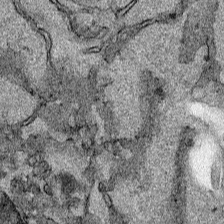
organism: Human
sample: Mitochondria in HCT116 cells